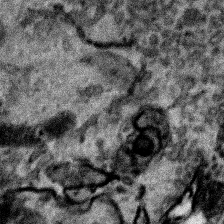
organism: Human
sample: Mitochondria in HCT116 cells